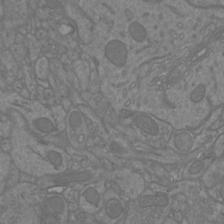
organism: Mouse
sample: Cortical neurons